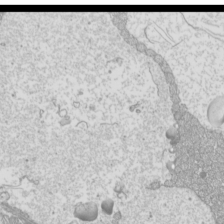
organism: Mouse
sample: Cilia; mouse epididymis